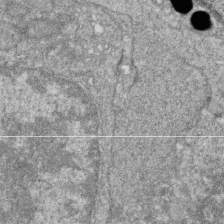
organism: Zebrafish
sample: Cilia; retinal pigment epithelium